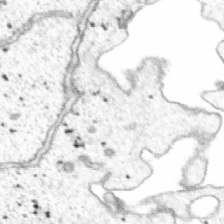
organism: Human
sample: HeLa cells